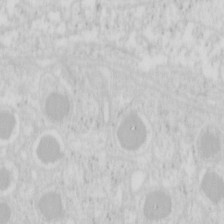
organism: Mouse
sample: Pancreas